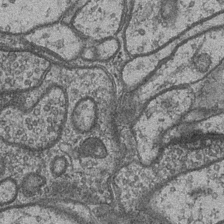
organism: Drosophila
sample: Optic medulla